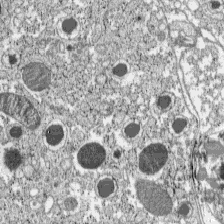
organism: C57BL Mouse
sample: Pancreatic islet